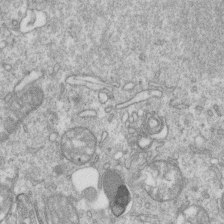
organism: Mouse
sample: Activated OT-1 CD8+ T cells